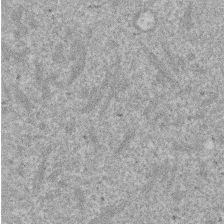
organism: Mouse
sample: Dividing mouse embryo 1 cell stage